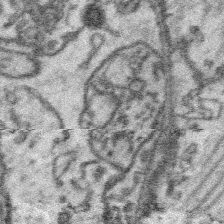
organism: Platynereis dumerilii